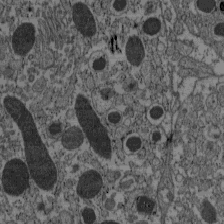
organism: C57BL Mouse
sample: Pancreatic islet